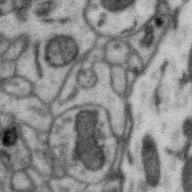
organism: Zebra finch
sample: Brain